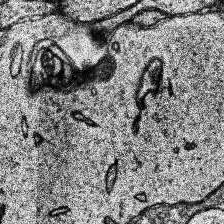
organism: Human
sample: Temporal Lobe